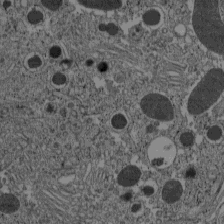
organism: C57BL Mouse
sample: Pancreatic islet